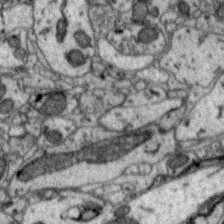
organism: Zebra finch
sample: Brain